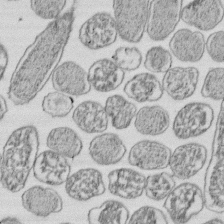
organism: E. coli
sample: Bacterial nucleoid